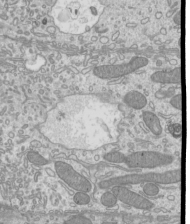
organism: Mouse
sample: Cilia; mouse epididymis